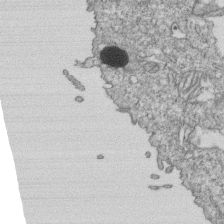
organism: Human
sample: HeLa cell HIV synapse